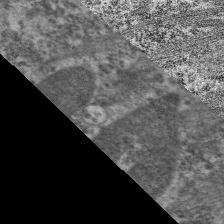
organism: C. elegans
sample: Pharynx